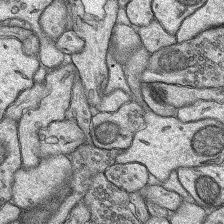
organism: Rat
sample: Hippocampus